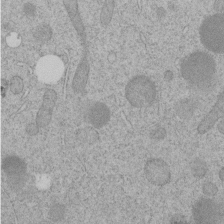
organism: C. elegans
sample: C. elegans embryo early stage